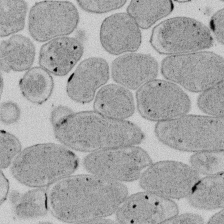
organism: E. coli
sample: Bacterial nucleoid